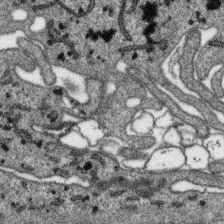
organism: Human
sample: Lung epithelial cells infected with SARS-CoV-2